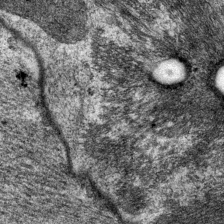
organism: P. pacificus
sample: Pharynx